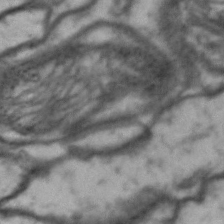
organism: Drosophila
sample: Brain